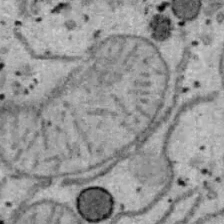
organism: Mouse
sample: Liver from an obese (ob/ob) mouse